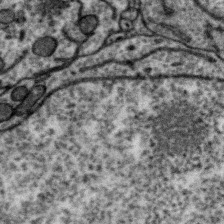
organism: Zebra finch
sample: Brain